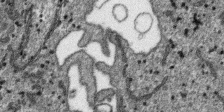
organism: Human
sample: Lung epithelial cells infected with SARS-CoV-2